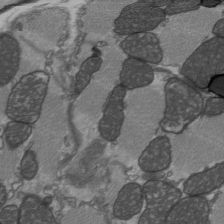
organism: C57BL Mouse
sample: Heart